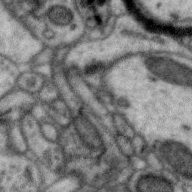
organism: Zebra finch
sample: Brain